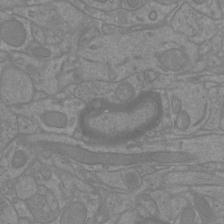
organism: Mouse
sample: Cortical neurons